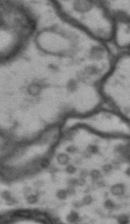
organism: Drosophila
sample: Brain